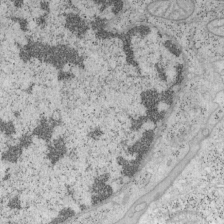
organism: Mouse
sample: OT-I killer T cells with ID8 ovarian cancer cells